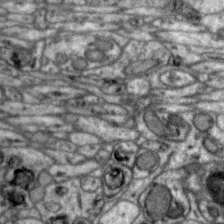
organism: Zebra finch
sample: Brain